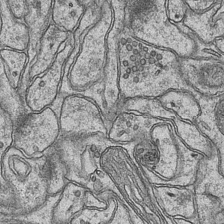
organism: Mouse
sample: CA1 Hippocampus